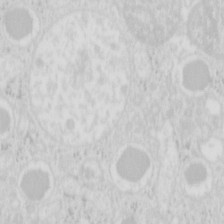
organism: Mouse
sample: Pancreas